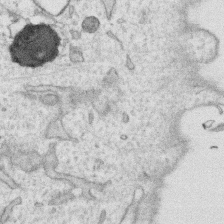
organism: Human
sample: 1205lu cells